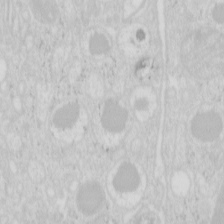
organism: Mouse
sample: Pancreas